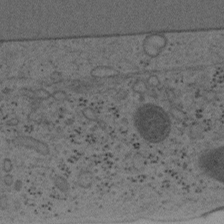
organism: Human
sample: HeLa cells